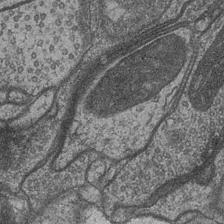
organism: Drosophila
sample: Optic medulla